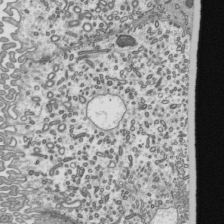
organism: Mouse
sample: Mouse epididymis efferent ductule cilia